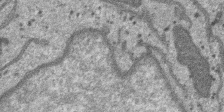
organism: Human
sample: Lung epithelial cells infected with SARS-CoV-2